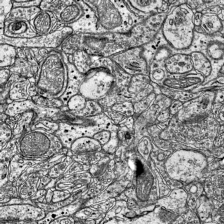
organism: Mouse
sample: Visual Cortex